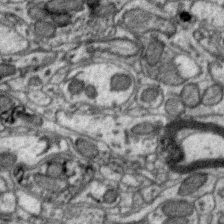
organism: Zebra finch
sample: Brain